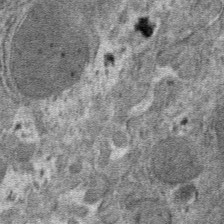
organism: Mouse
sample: Mouse hepatocytes